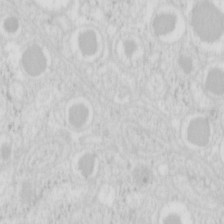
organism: Mouse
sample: Pancreas